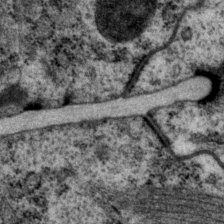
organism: P. pacificus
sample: Pharynx